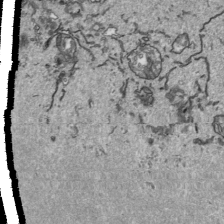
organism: Human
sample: Mitochondria in HCT116 cells